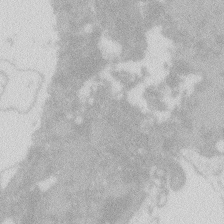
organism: Zebrafish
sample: Macrophage